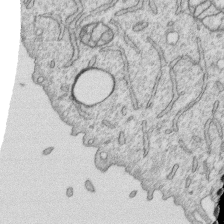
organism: Human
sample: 1205lu cells